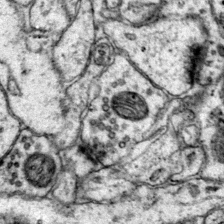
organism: Mouse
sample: Primary visual cortex